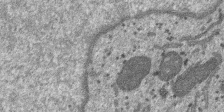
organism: Human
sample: Lung epithelial cells infected with SARS-CoV-2